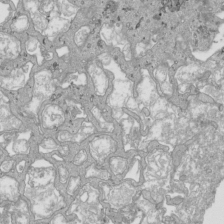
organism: Human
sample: Mitochondria in HCT116 cells